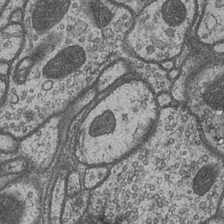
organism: Drosophila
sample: Optic medulla